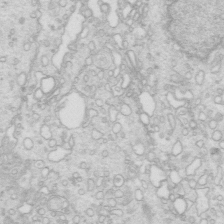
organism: Mouse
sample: Multiciliated cells